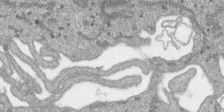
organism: Human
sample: Lung epithelial cells infected with SARS-CoV-2